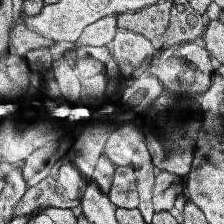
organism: Human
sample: Temporal Lobe